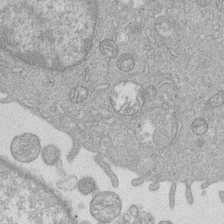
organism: Human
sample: Macrophage cells